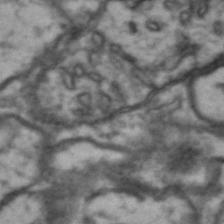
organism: Drosophila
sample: Brain